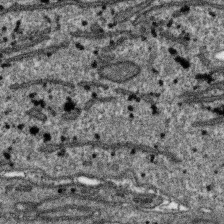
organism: Human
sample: Lung epithelial cells infected with SARS-CoV-2